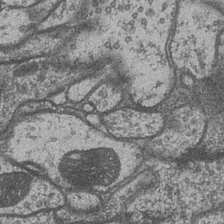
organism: Drosophila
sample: Optic medulla